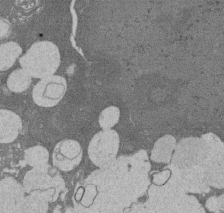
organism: Rat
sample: Salivary granule